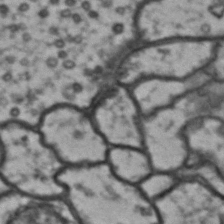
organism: Drosophila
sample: Brain